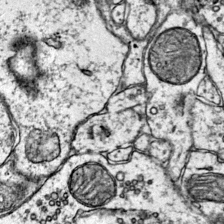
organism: Mouse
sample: Primary visual cortex